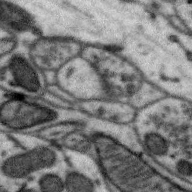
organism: Zebra finch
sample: Brain